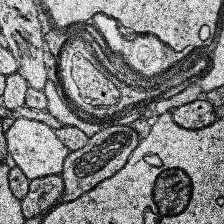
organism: Human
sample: Temporal Lobe